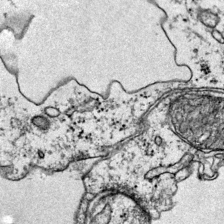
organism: Mouse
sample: Primary visual cortex